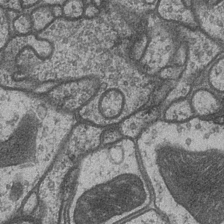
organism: Drosophila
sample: Optic medulla